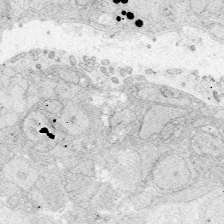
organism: Zebrafish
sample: Whole-Brain